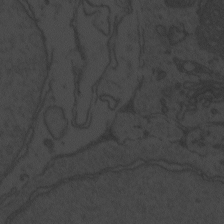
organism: Zebrafish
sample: Macrophage infected with Toxoplasma gondii